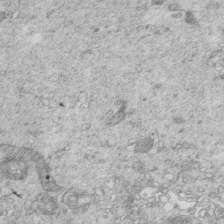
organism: Mouse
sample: Multiciliated cells